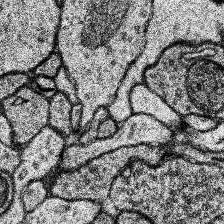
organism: Human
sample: Temporal Lobe